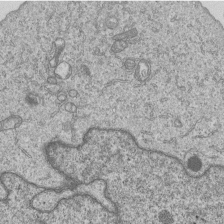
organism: Human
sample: MDA-MB-231 cells